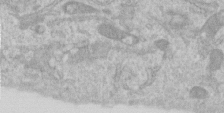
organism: Human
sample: Centriole in RPE cells